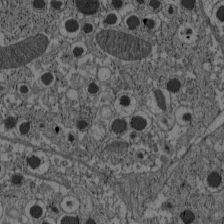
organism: C57BL Mouse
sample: Pancreatic islet